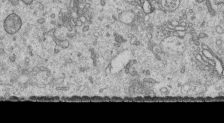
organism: Human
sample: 1205lu cells